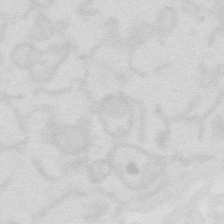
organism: Human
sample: HeLa cells